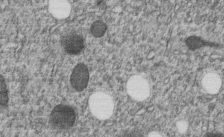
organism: C. elegans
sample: C. elegans embryo early stage